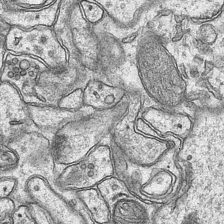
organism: Mouse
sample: CA1 Hippocampus